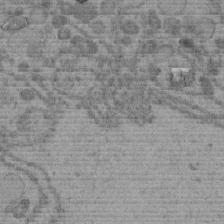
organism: C. elegans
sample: C. elegans embryo early stage